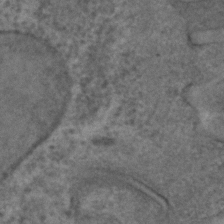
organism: C. elegans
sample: C. elegans embryo